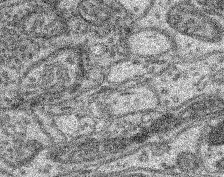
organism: Mouse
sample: Retina